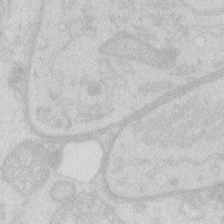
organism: Zebrafish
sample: Macrophage